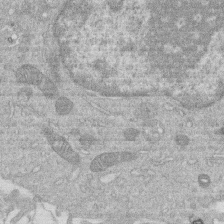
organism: Human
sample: Macrophage cells